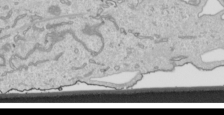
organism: Human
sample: Mitochondria in HCT116 cells